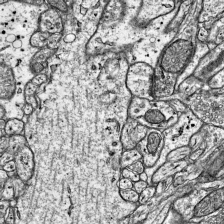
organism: Mouse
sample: Visual Cortex